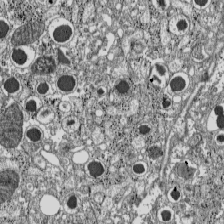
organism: C57BL Mouse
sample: Pancreatic islet